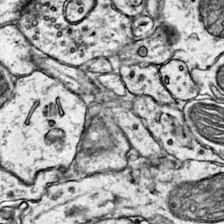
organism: Mouse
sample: Primary visual cortex